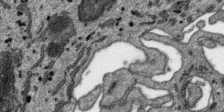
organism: Human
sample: Lung epithelial cells, uninfected (mock) control